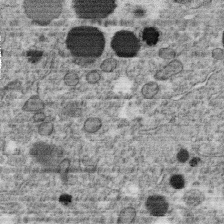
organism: C. elegans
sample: C. elegans oocyte; sperm cells